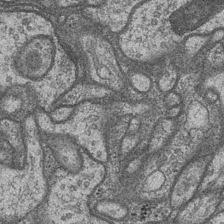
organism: Drosophila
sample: Optic medulla